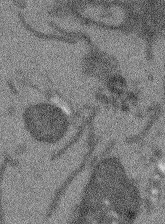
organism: Arabidopsis thaliana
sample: Root tip